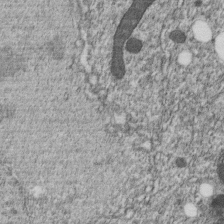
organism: C. elegans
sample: C. elegans embryo early stage